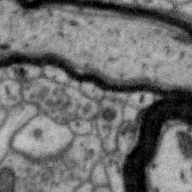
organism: Zebra finch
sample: Brain